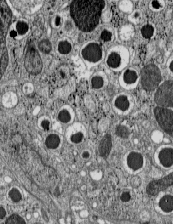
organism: C57BL Mouse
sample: Pancreatic islet